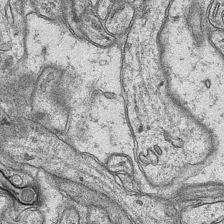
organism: Mouse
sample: CA1 Hippocampus